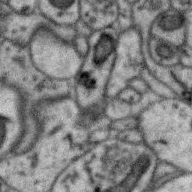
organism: Zebra finch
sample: Brain